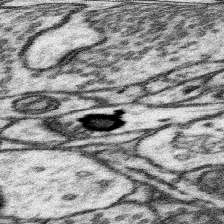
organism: Mouse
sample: Somatosensory cortex neuropil